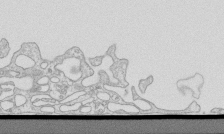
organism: Mouse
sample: Macrophages